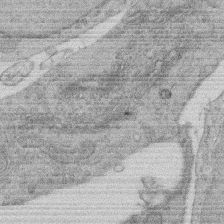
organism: Rat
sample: Salivary granule